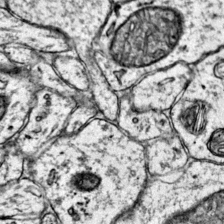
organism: Mouse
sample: Primary visual cortex